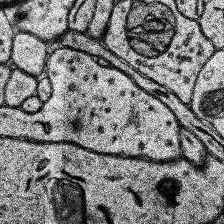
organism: Human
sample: Temporal Lobe